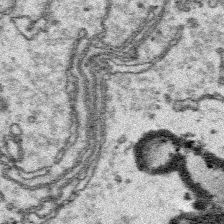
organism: Platynereis dumerilii